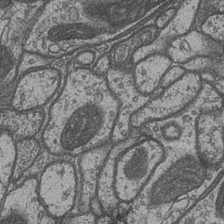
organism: Drosophila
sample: Optic medulla